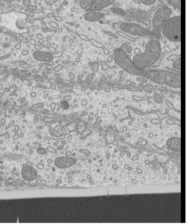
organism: Mouse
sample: Cilia; mouse epididymis